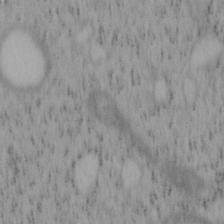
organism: Mouse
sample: OT-I killer T cells with ID8 ovarian cancer cells